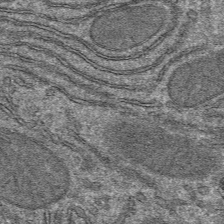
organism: Mouse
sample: Mouse hepatocytes